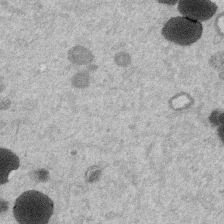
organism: Mouse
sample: Dividing mouse embryo 1 cell stage